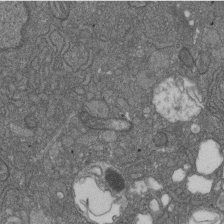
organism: Drosophila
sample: Nephrocyte